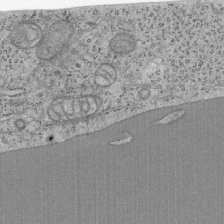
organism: Human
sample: HeLa cells